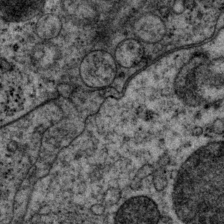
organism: P. pacificus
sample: Pharynx